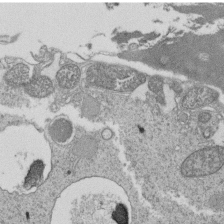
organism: Tetrahymena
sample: Cilia in tetrahymena